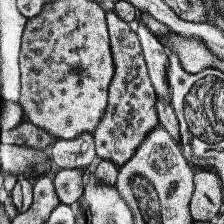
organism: Human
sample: Temporal Lobe